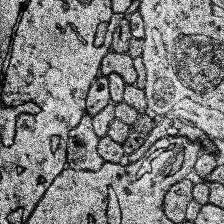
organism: Human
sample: Temporal Lobe